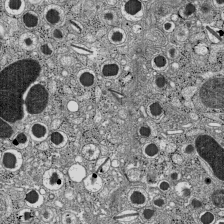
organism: C57BL Mouse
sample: Pancreatic islet